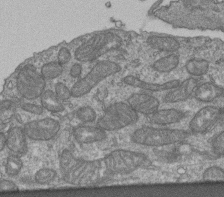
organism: Human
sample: Retinal organoid Rod and Cone cells